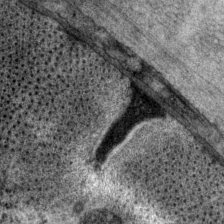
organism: P. pacificus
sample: Pharynx